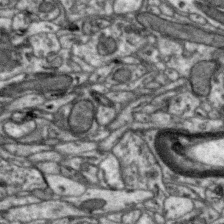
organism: Zebra finch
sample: Brain